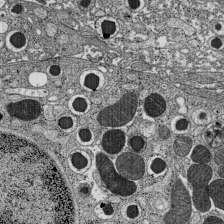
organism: C57BL Mouse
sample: Pancreatic islet